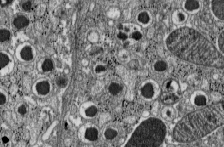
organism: C57BL Mouse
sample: Pancreatic islet